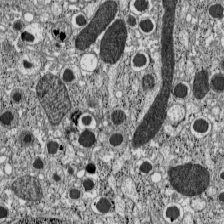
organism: C57BL Mouse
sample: Pancreatic islet